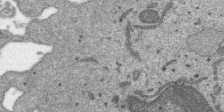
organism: Human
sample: Lung epithelial cells infected with SARS-CoV-2